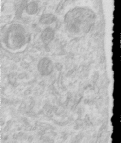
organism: Human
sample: Centriole in RPE cells